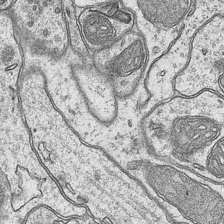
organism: Mouse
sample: CA1 Hippocampus